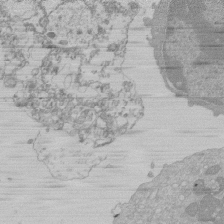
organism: Mouse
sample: Activated Pmel transgenic CD8+ T Cells